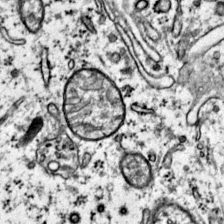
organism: Mouse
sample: Primary visual cortex